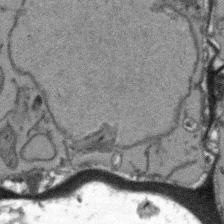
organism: Arabidopsis thaliana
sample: Root tip